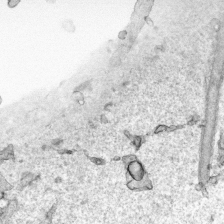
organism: Human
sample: Mitochondria in HCT116 cells